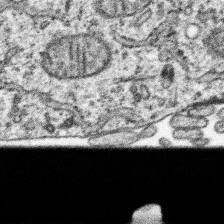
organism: Human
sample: HeLa cells